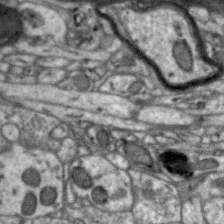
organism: Zebra finch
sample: Brain